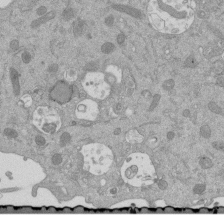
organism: Mouse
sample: ED-1 cell nuclei; centrioles